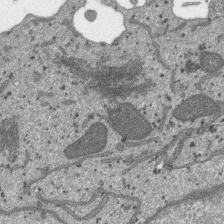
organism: Human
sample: Lung epithelial cells infected with SARS-CoV-2